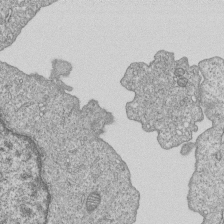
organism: Human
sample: MDA-MB-231 cells